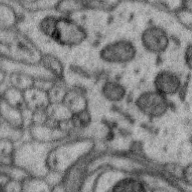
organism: Zebra finch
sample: Brain